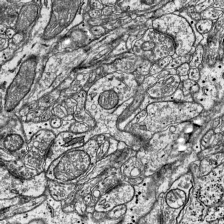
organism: Mouse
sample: Visual Cortex